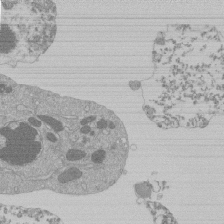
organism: Mouse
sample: Activated Pmel transgenic CD8+ T Cells